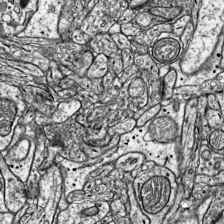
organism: Mouse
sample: Visual Cortex